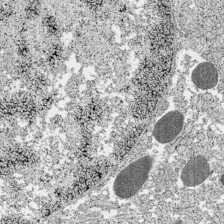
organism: C57BL Mouse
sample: Pancreatic islet